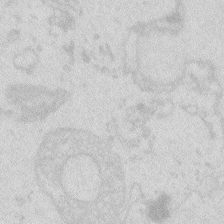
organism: Zebrafish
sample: Macrophage